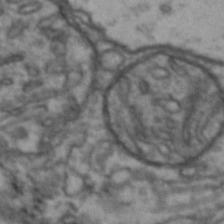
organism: Drosophila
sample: Brain